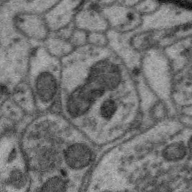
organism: Zebra finch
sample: Brain